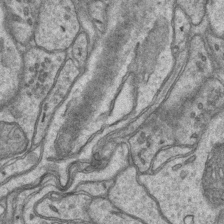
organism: Mouse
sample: CA1 Hippocampus